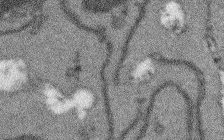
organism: Arabidopsis thaliana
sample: Root tip